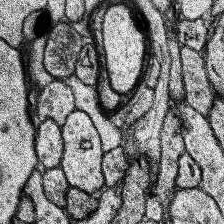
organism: Human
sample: Temporal Lobe